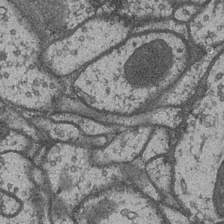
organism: Drosophila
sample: Optic medulla